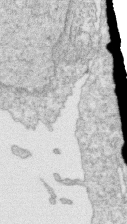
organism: Human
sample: HeLa cell HIV synapse